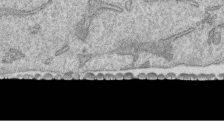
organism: Human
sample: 1205lu cells